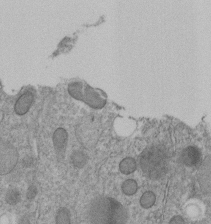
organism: C. elegans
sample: C. elegans embryo early stage